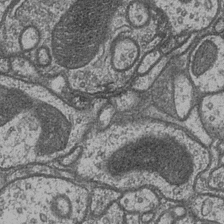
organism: Drosophila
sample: Optic medulla